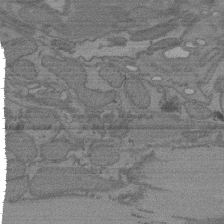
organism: C. elegans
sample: AFD neurons C. elegans